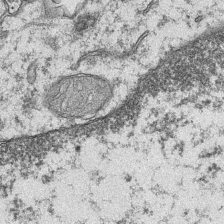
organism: Mouse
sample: CA1 Hippocampus